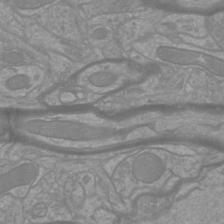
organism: Mouse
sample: Cortical neurons